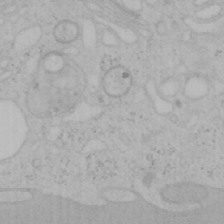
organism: Mouse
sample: OT-I killer T cells with ID8 ovarian cancer cells